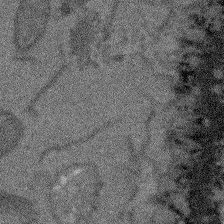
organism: Arabidopsis thaliana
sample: Root tip